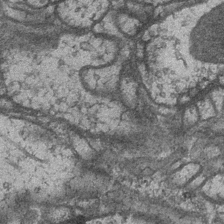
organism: Drosophila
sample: Optic medulla